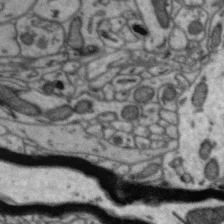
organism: Zebra finch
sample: Brain